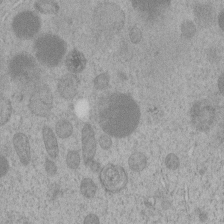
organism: C. elegans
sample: C. elegans embryo early stage